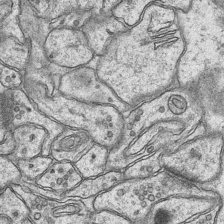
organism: Mouse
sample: CA1 Hippocampus